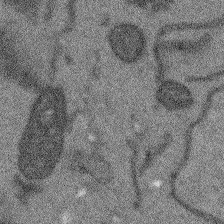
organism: Arabidopsis thaliana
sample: Root tip